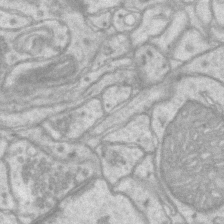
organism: Mouse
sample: CA1 Hippocampus